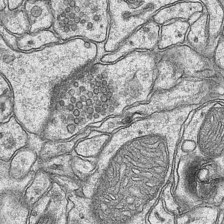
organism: Mouse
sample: CA1 Hippocampus